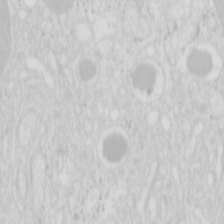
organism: Mouse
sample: Pancreas